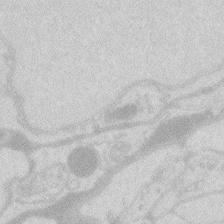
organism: Zebrafish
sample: Macrophage